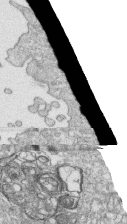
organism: Human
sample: HeLa cell HIV synapse